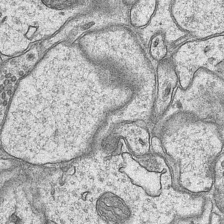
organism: Mouse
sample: CA1 Hippocampus